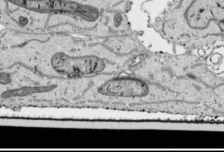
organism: Human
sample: Mitochondria in HCT116 cells